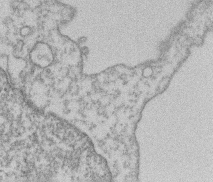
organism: Mouse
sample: T cell stromal cell synapse